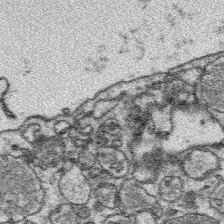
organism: Platynereis dumerilii